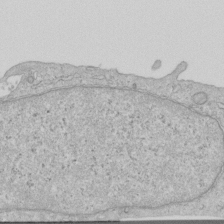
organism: Human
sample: Centriole in RPE cells